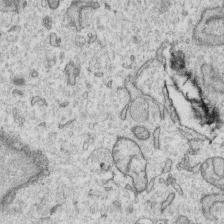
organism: Human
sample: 1205lu cells